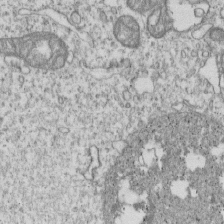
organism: Human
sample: MDA-MB-231 cells